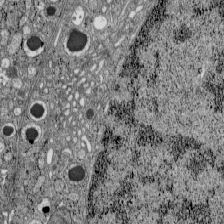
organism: C57BL Mouse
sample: Pancreatic islet